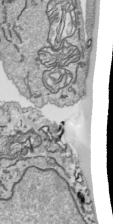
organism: Human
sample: Mitochondria in HCT116 cells